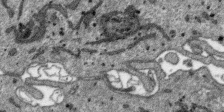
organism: Human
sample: Lung epithelial cells, uninfected (mock) control